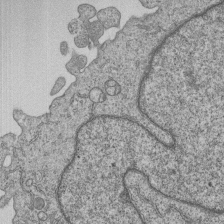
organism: Human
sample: MDA-MB-231 cells